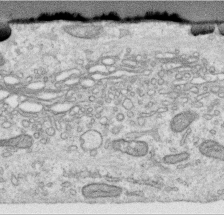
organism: Human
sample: Centriole in RPE cells